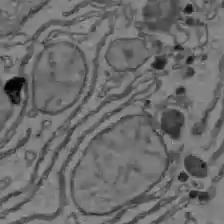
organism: C57BL Mouse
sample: Liver